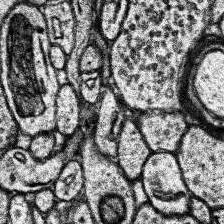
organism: Human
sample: Temporal Lobe